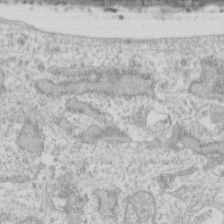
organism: Human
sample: Fibroblast cells